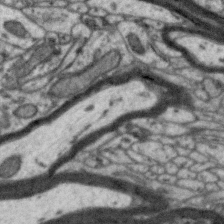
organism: Zebra finch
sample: Brain